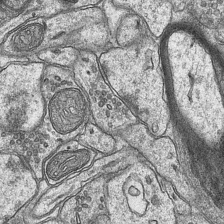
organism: Mouse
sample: CA1 Hippocampus